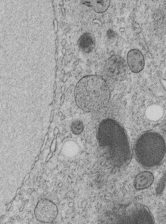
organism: C. elegans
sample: C. elegans embryo early stage